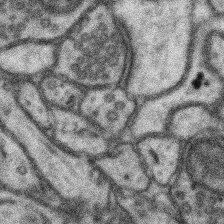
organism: Mouse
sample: Somatosensory cortex neuropil